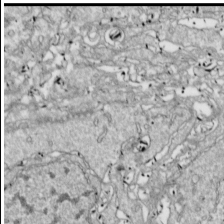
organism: Drosophila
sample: Cell division; meiosis; drosophila spermatocytes